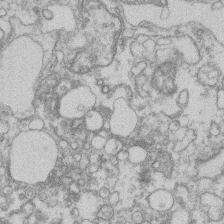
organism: Mouse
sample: T cell stromal cell synapse